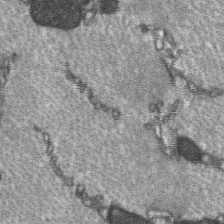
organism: C57BL Mouse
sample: Soleus